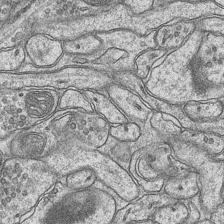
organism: Mouse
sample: CA1 Hippocampus